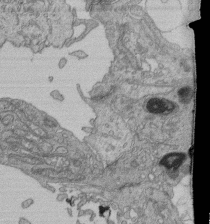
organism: Human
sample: Retinal organoid Rod and Cone cells